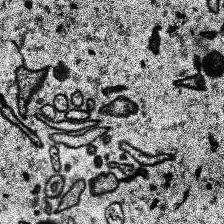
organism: Human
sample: Temporal Lobe